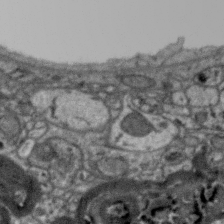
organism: Zebra finch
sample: Brain